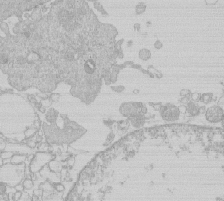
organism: Human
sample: Macrophage cells